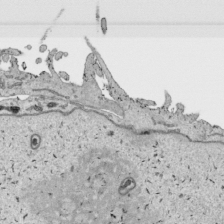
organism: Human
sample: Mitochondria in HCT116 cells